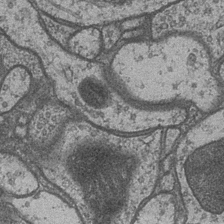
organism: Drosophila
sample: Optic medulla